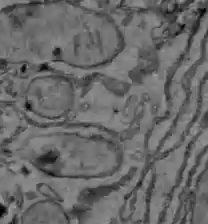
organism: C57BL Mouse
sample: Liver